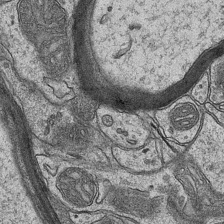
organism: Mouse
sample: CA1 Hippocampus